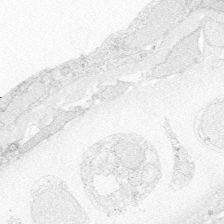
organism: Zebrafish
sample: Whole-Brain